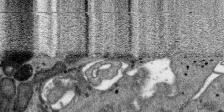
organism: Human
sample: Lung epithelial cells, uninfected (mock) control